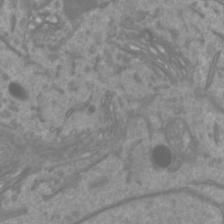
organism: Mouse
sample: Cortical neurons